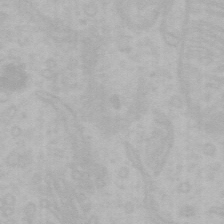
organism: Mouse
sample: Choroid plexus